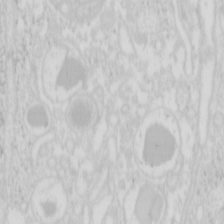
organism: Mouse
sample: Pancreas